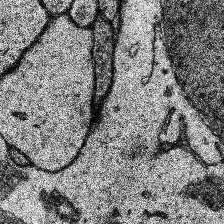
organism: Human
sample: Temporal Lobe